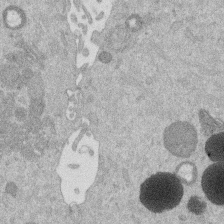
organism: Mouse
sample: Dividing mouse embryo 1 cell stage